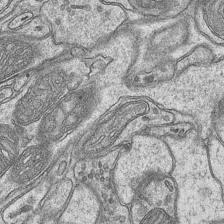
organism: Mouse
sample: CA1 Hippocampus